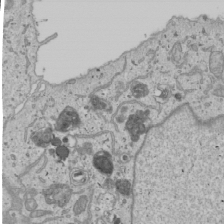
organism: Human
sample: Mitochondria in U2OS cells